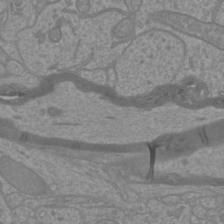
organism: Mouse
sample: Cortical neurons